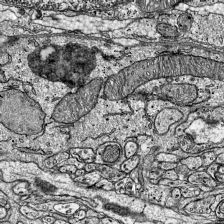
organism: Mouse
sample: Visual Cortex